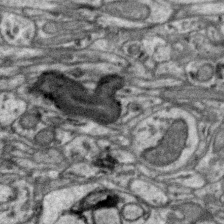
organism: Zebra finch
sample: Brain